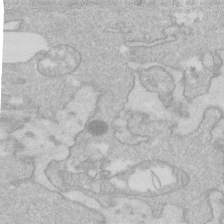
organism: Human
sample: Fibroblast cells